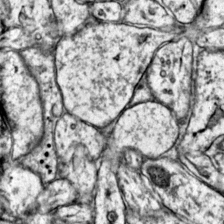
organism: Mouse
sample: Primary visual cortex